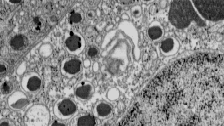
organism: C57BL Mouse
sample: Pancreatic islet